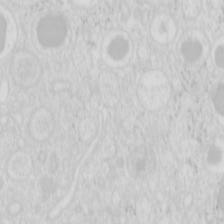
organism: Mouse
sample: Pancreas